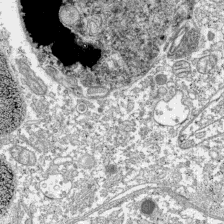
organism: C57BL Mouse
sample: Pancreatic islet